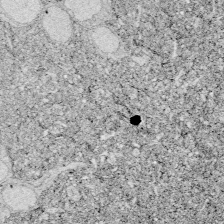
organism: Zebrafish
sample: Whole-Brain